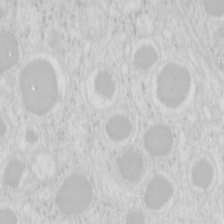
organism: Mouse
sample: Pancreas